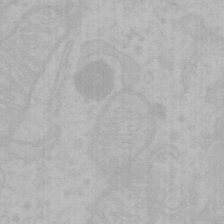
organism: Mouse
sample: Choroid plexus